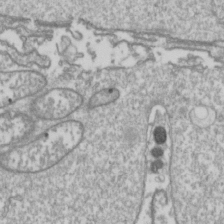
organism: Drosophila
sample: Cell division; meiosis; drosophila spermatocytes